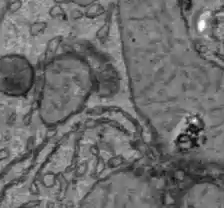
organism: C57BL Mouse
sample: Liver